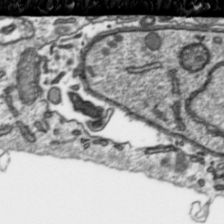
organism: Toxoplasma gondii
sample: Parasites in a vacuole inside a host cell